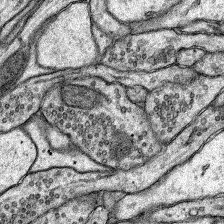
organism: Rat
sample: Hippocampus